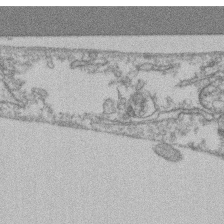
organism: Mouse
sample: T cell stromal cell synapse